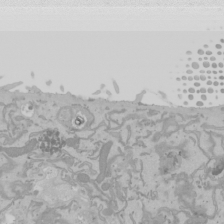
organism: Mouse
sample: Cancer cell death in ED-1 cells